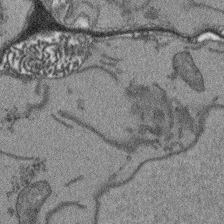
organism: Arabidopsis thaliana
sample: Root tip